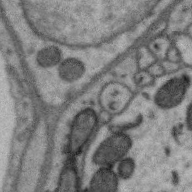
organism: Zebra finch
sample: Brain